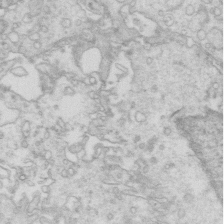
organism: Mouse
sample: Multiciliated cells